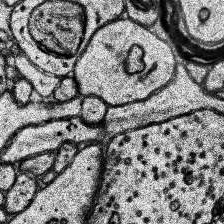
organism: Human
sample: Temporal Lobe